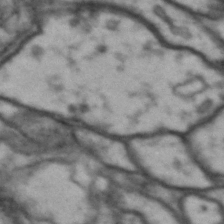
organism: Drosophila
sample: Brain